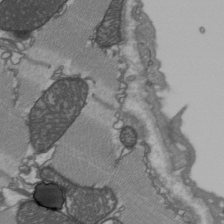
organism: C57BL Mouse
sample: Heart